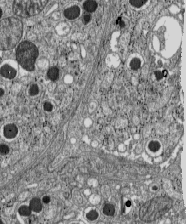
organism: C57BL Mouse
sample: Pancreatic islet